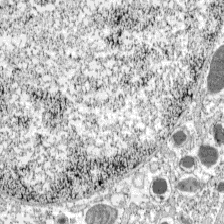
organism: C57BL Mouse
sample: Pancreatic islet